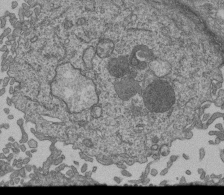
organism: Human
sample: Retinal organoid Rod and Cone cells